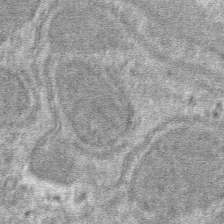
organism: Mouse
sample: Mouse hepatocytes